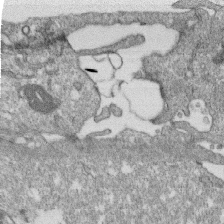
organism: African green monkey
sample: Vero E6 cells infected with SARS-CoV-2